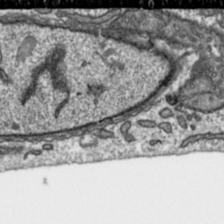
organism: Toxoplasma gondii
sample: Parasites in a vacuole inside a host cell